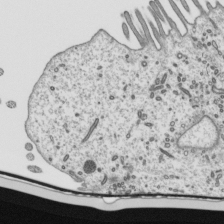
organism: Mouse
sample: Mouse epididymis efferent ductule cilia